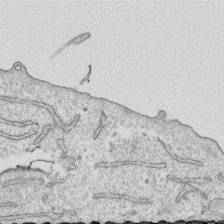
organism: Human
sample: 1205lu cells